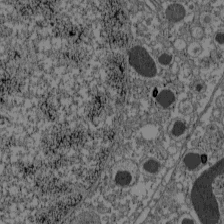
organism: C57BL Mouse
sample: Pancreatic islet